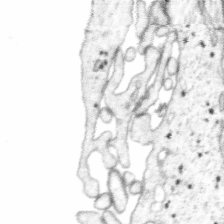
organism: Human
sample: HeLa cells